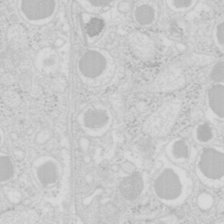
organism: Mouse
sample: Pancreas